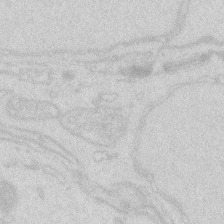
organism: Zebrafish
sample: Macrophage